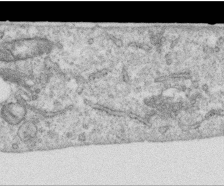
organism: Human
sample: Centriole in RPE cells